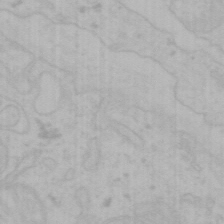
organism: Mouse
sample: Choroid plexus